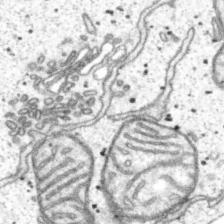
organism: Human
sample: HeLa cells